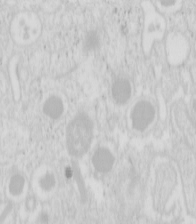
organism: Mouse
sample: Pancreas